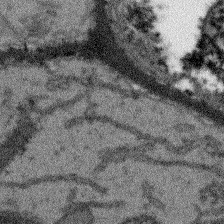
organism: Arabidopsis thaliana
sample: Root tip